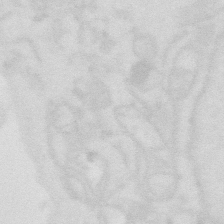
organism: Human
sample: HeLa cells